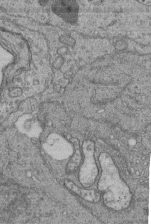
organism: Human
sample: Retinal organoid Rod and Cone cells